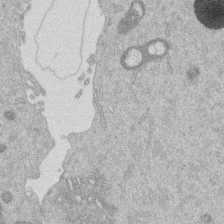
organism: Mouse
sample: Dividing mouse embryo 1 cell stage